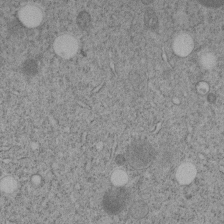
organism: C. elegans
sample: C. elegans embryo early stage